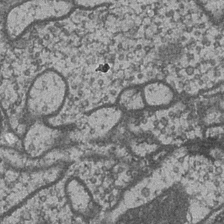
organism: Drosophila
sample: Optic medulla